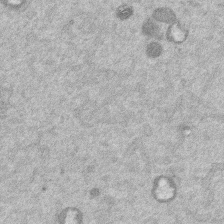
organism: Mouse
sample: Dividing mouse embryo 1 cell stage